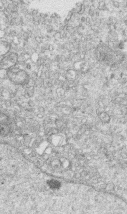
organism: Human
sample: HeLa cell HIV synapse